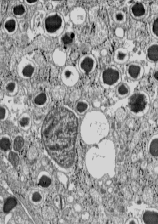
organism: C57BL Mouse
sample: Pancreatic islet